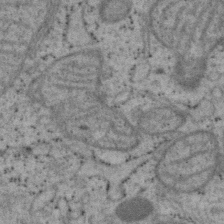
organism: Human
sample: HeLa cells